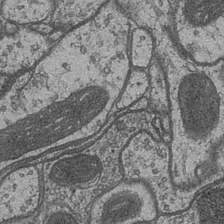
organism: Drosophila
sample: Optic medulla